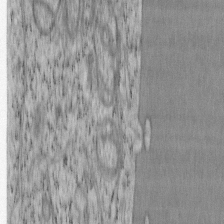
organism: Human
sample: HeLa cells